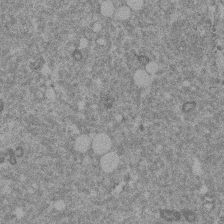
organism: Mouse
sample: Dividing mouse embryo 1 cell stage